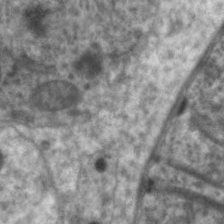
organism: C. elegans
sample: Pharynx